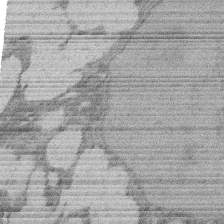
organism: Rat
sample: Salivary granule